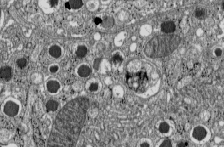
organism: C57BL Mouse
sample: Pancreatic islet